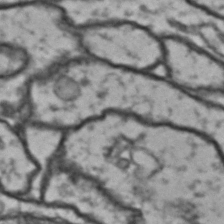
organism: Drosophila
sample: Brain